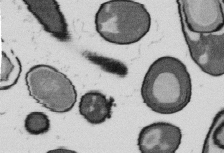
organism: B. subtilis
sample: Bacterial spore